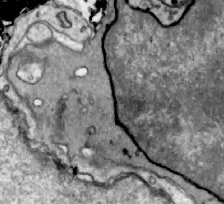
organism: Zebrafish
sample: Actinotrichia fibers